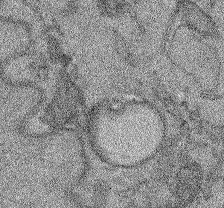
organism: Human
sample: HeLa cells